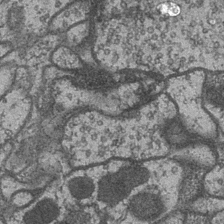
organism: Drosophila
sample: Optic medulla